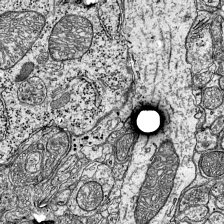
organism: Mouse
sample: Visual Cortex